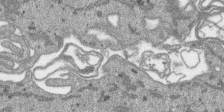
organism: Human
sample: Lung epithelial cells infected with SARS-CoV-2